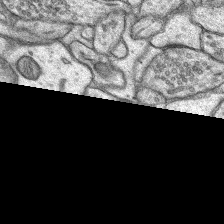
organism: Rat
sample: Hippocampus